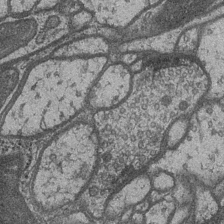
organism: Drosophila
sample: Optic medulla